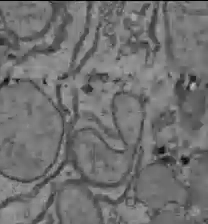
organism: C57BL Mouse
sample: Liver